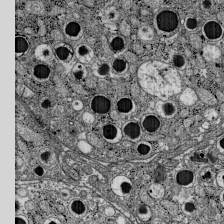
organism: C57BL Mouse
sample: Pancreatic islet